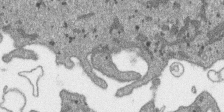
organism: Human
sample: Lung epithelial cells infected with SARS-CoV-2